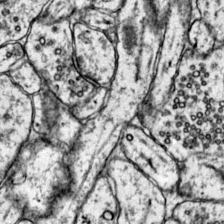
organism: Mouse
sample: Primary visual cortex